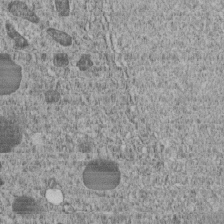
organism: C. elegans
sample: C. elegans embryo early stage